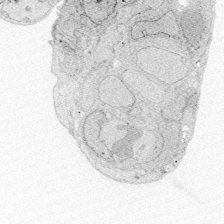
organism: Zebrafish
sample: Whole-Brain